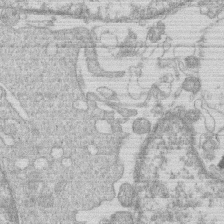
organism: Human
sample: Macrophage cells